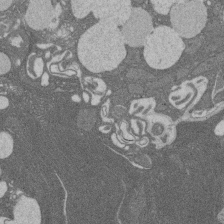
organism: Rat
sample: Salivary granule